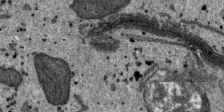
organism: Human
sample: Lung epithelial cells, uninfected (mock) control